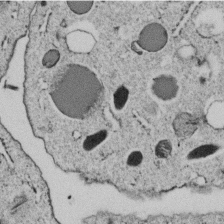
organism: C. elegans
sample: C. elegans embryo early stage